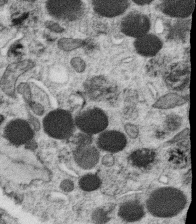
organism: C. elegans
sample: C. elegans oocyte; sperm cells